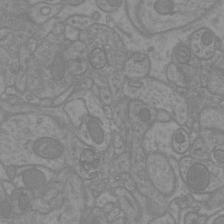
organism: Mouse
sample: Cortical neurons